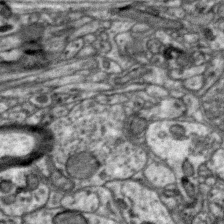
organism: Zebra finch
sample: Brain